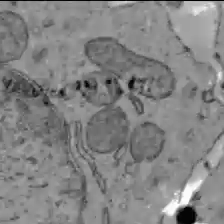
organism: C57BL Mouse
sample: Liver